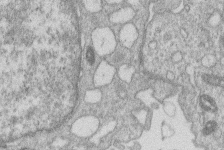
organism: Human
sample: Macrophage cells